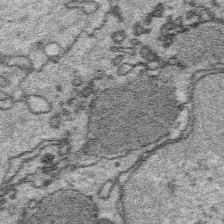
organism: Platynereis dumerilii